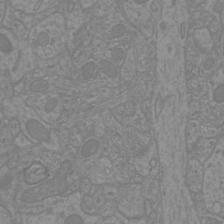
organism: Mouse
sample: Cortical neurons